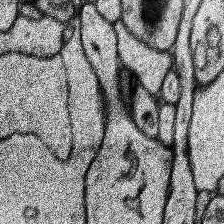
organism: Human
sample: Temporal Lobe